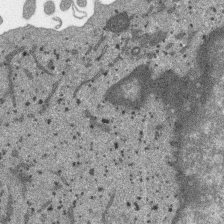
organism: Human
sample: Lung epithelial cells infected with SARS-CoV-2